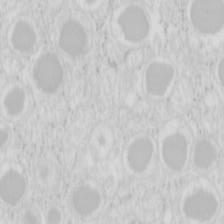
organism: Mouse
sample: Pancreas